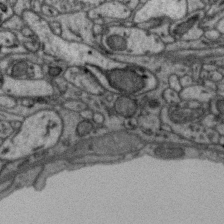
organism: Zebra finch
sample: Brain